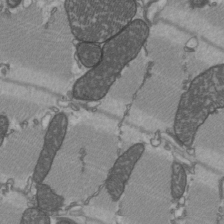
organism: C57BL Mouse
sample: Heart